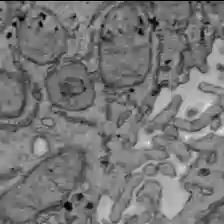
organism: C57BL Mouse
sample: Liver